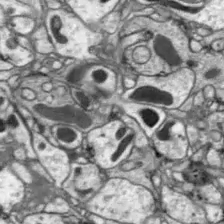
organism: Drosophila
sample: Optic lobe